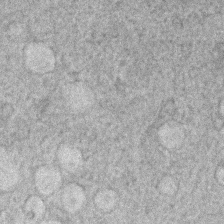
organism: Human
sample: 1205lu cells